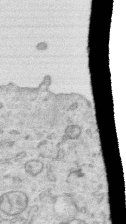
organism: Human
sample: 1205lu cells